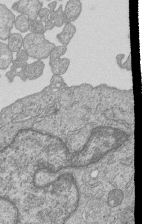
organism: Human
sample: MDA-MB-231 cells